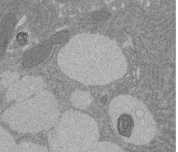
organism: Rat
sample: Salivary granule